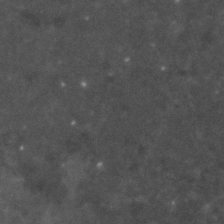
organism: Human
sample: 1205lu cells